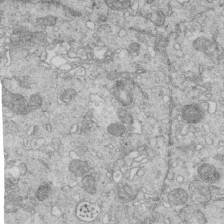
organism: Mouse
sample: Multiciliated cells